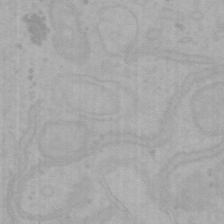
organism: Mouse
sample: Choroid plexus